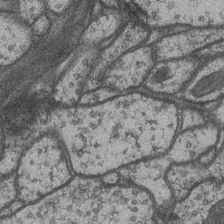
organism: Drosophila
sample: Optic medulla